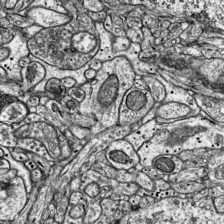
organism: Mouse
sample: Visual Cortex